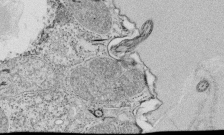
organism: Tetrahymena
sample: Cilia in tetrahymena